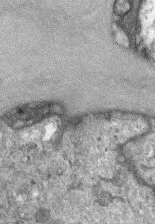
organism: Mouse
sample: Corneal nerves